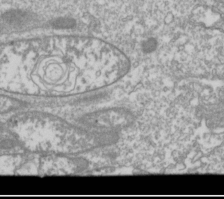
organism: Drosophila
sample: Cell division; meiosis; drosophila spermatocytes